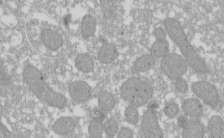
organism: Xenopus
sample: Cilia; centrioles in frog embryo cells